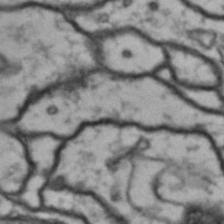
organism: Drosophila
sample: Brain